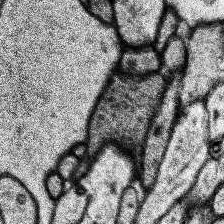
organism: Human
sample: Temporal Lobe